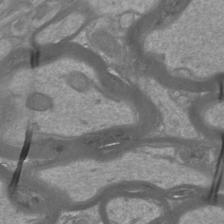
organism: Mouse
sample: Cortical neurons